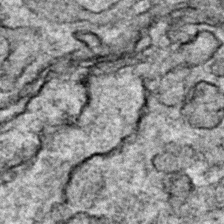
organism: Zebrafish